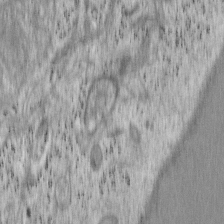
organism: Human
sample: HeLa cells